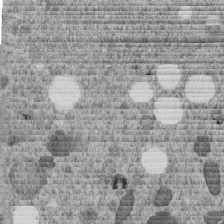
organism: C. elegans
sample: C. elegans embryo early stage